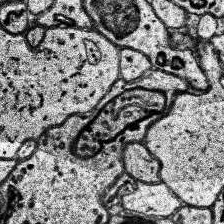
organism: Human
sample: Temporal Lobe